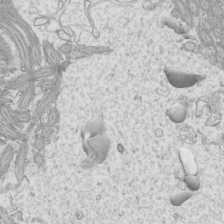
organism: Mouse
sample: Cilia; mouse epididymis